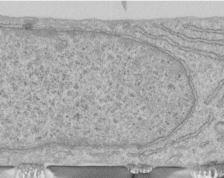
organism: Human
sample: Centriole in RPE cells